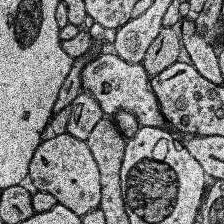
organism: Human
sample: Temporal Lobe